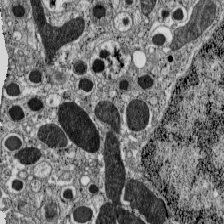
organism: C57BL Mouse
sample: Pancreatic islet